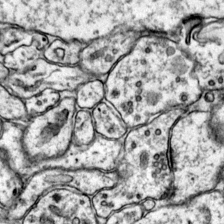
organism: Mouse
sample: Primary visual cortex